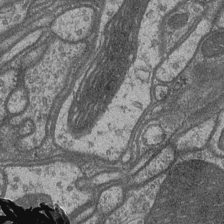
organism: Drosophila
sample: Optic medulla